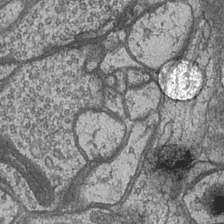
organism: Drosophila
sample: Optic medulla